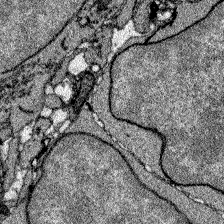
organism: Zebrafish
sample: Larval olfactory bulb